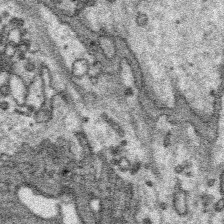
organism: Platynereis dumerilii